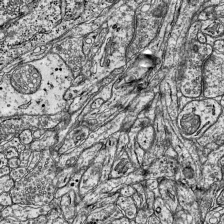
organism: Mouse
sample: Visual Cortex